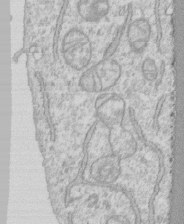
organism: Human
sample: CRL-1474